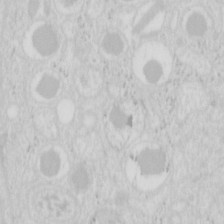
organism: Mouse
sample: Pancreas